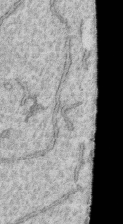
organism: Human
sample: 1205lu cells